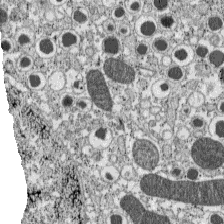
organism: C57BL Mouse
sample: Pancreatic islet